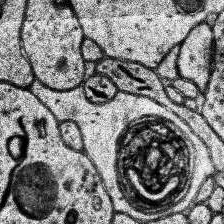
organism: Human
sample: Temporal Lobe